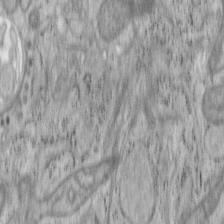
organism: Human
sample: HeLa cells